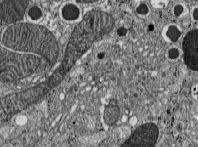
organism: C57BL Mouse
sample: Pancreatic islet